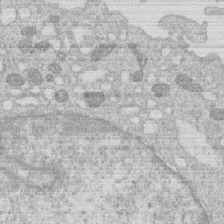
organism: Human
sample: Macrophage cells